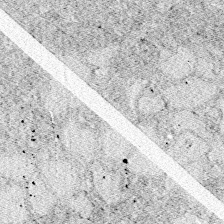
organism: Zebrafish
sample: Whole-Brain